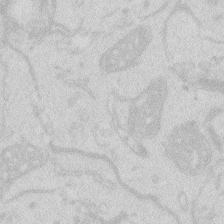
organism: Zebrafish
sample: Macrophage